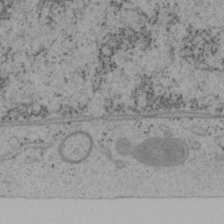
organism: Human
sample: HeLa cells